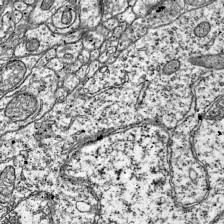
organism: Mouse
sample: Visual Cortex